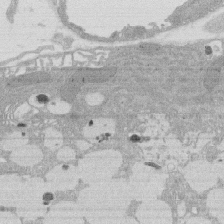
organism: Rat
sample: Salivary granule